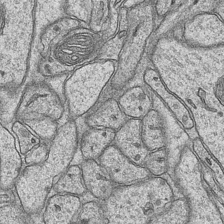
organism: Mouse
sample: CA1 Hippocampus